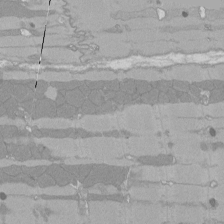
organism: Rat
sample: Left ventricle